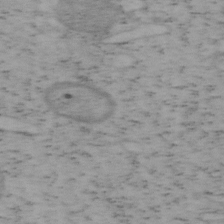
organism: Mouse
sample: OT-I killer T cells with ID8 ovarian cancer cells